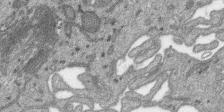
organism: Human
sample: Lung epithelial cells infected with SARS-CoV-2